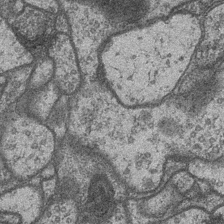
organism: Drosophila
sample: Optic medulla